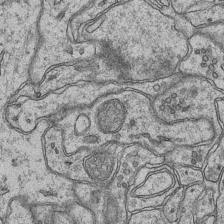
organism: Mouse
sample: CA1 Hippocampus